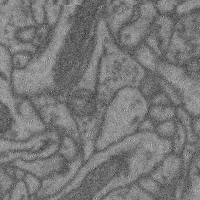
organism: Mouse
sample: Cerebral cortex